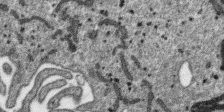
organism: Human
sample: Lung epithelial cells infected with SARS-CoV-2